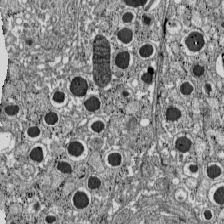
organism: C57BL Mouse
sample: Pancreatic islet